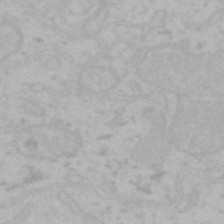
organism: Mouse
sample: Choroid plexus